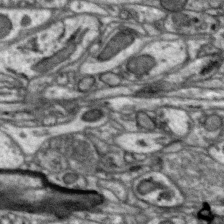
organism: Zebra finch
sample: Brain